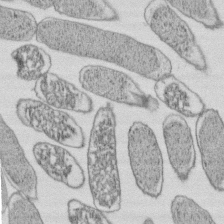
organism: E. coli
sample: Bacterial nucleoid